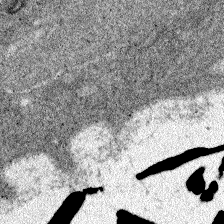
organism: Zebrafish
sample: Larval olfactory bulb